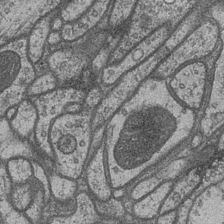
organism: Drosophila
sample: Optic medulla